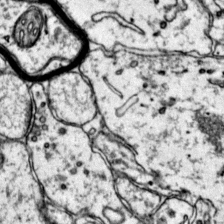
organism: Mouse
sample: Primary visual cortex